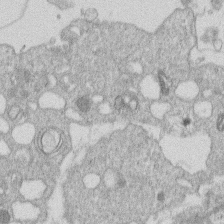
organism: Human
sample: Macrophage cells